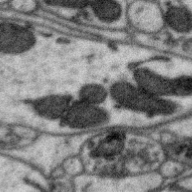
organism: Zebra finch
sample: Brain